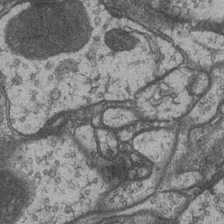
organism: Drosophila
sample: Optic medulla